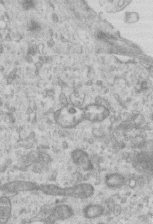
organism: Mouse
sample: Centriole in ependymal cells